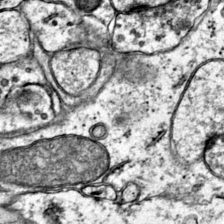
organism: Mouse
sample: Primary visual cortex